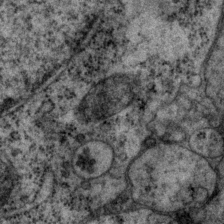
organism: P. pacificus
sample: Pharynx